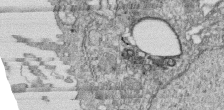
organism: Human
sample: HeLa cell HIV synapse